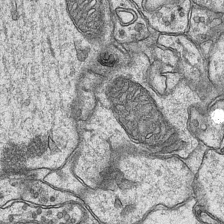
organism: Mouse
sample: CA1 Hippocampus